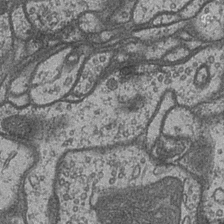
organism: Drosophila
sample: Optic medulla